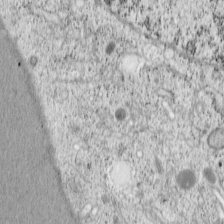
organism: African green monkey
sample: COS-7 cells